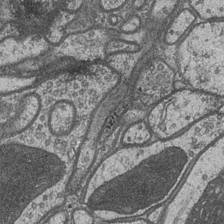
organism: Drosophila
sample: Optic medulla